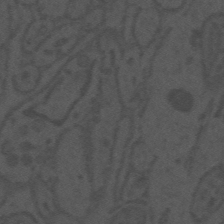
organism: Mouse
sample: Suprachiasmatic nucleus